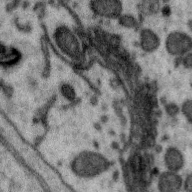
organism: Zebra finch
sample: Brain